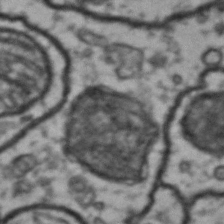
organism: Drosophila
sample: Brain